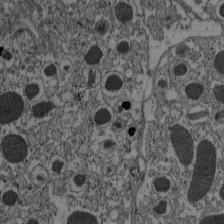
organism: C57BL Mouse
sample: Pancreatic islet